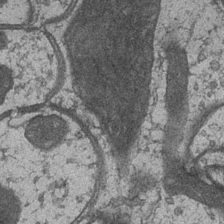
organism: Drosophila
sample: Optic medulla